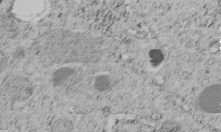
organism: C. elegans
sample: C. elegans embryo early stage